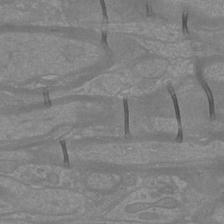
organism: Mouse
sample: Cortical neurons